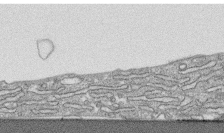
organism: Human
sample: CRL-1474